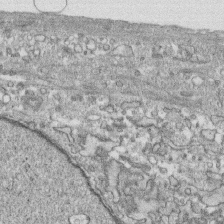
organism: Human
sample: CRL-1474